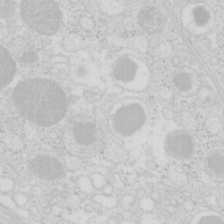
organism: Mouse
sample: Pancreas